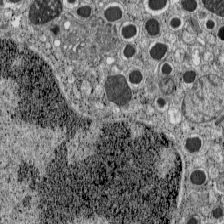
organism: C57BL Mouse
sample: Pancreatic islet